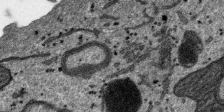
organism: Human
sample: Lung epithelial cells, uninfected (mock) control